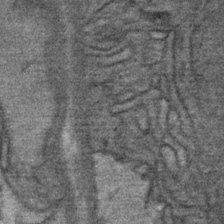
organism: Mouse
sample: Mouse Salivary gland